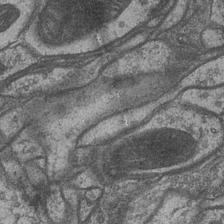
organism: Drosophila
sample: Optic medulla